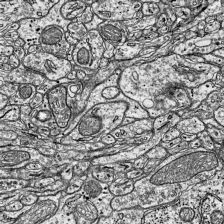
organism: Mouse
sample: Visual Cortex